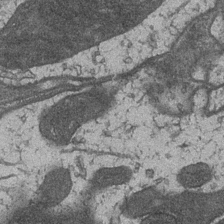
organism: Drosophila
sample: Optic medulla